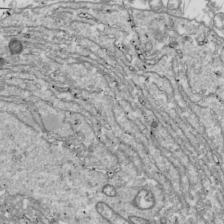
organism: Drosophila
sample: Cell division; meiosis; drosophila spermatocytes